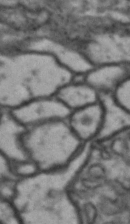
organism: Drosophila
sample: Brain